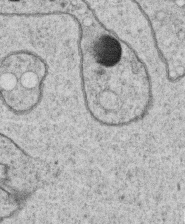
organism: C. elegans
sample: C. elegans oocyte; sperm cells